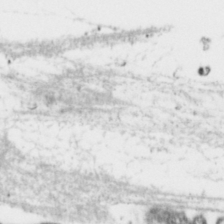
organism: Toxoplasma gondii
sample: Parasites in a vacuole inside a host cell